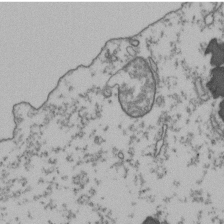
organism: Human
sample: Activated Jurkat CD4+ T cells